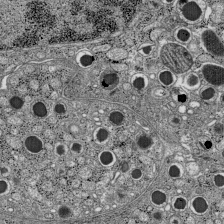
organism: C57BL Mouse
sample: Pancreatic islet